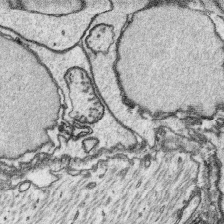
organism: Platynereis dumerilii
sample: Parapodia